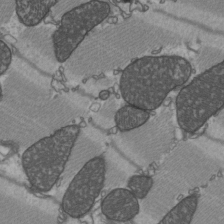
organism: C57BL Mouse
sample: Heart